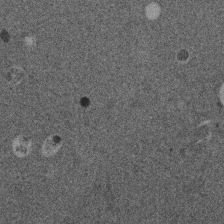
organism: Mouse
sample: Dividing mouse embryo 1 cell stage